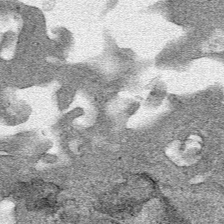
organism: Human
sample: Mitochondria in HCT116 cells